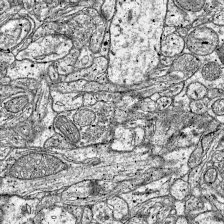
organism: Mouse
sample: Visual Cortex